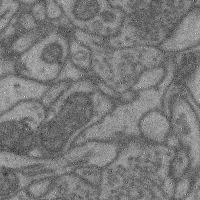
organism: Mouse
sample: Cerebral cortex